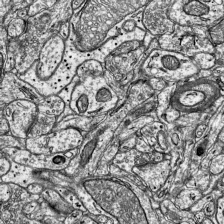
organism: Mouse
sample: Visual Cortex